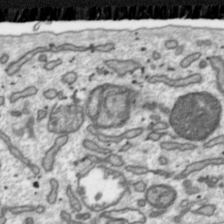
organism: Toxoplasma gondii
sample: Parasites in a vacuole inside a host cell